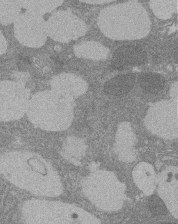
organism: Rat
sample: Salivary granule